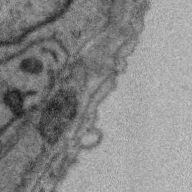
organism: Zebra finch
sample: Brain